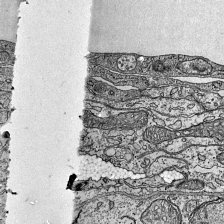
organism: Mouse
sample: Visual Cortex